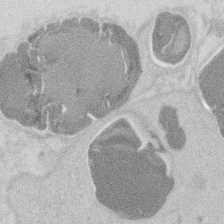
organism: Mouse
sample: T cell stromal cell synapse